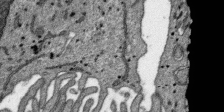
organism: Human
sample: Lung epithelial cells, uninfected (mock) control